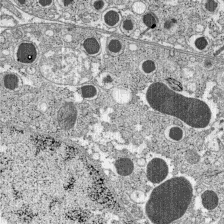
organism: C57BL Mouse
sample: Pancreatic islet